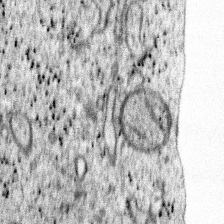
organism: Human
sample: HeLa cells